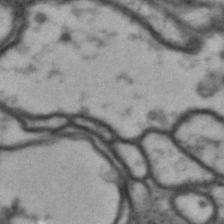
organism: Drosophila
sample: Brain